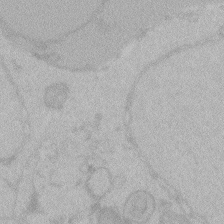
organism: Zebrafish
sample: Macrophage infected with Toxoplasma gondii